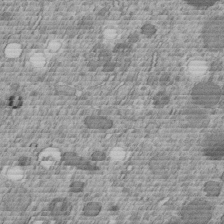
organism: C. elegans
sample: C. elegans embryo early stage